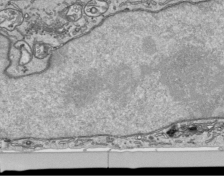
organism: Human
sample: Mitochondria in HCT116 cells